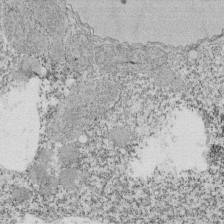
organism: Tetrahymena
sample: Cilia in tetrahymena